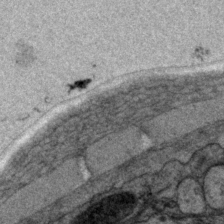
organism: P. pacificus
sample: Pharynx